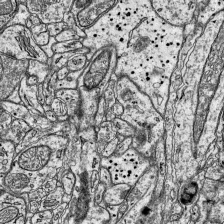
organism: Mouse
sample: Visual Cortex